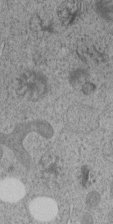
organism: C. elegans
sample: C. elegans embryo early stage